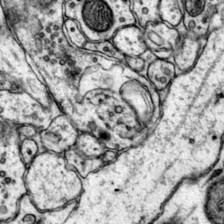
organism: Mouse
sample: Primary visual cortex